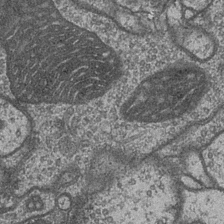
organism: Drosophila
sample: Optic medulla